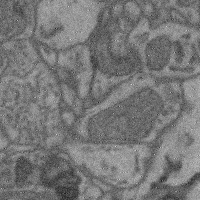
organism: Mouse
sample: Cerebral cortex